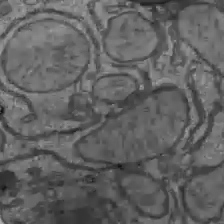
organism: C57BL Mouse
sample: Liver